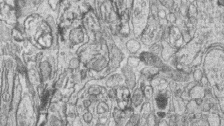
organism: Zebrafish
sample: synaptic ribbons in rod cells and cone cells